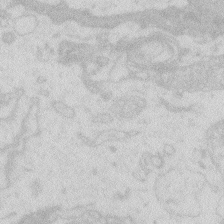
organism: Zebrafish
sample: Macrophage